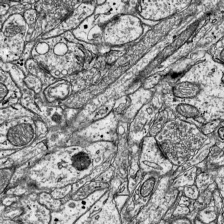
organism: Mouse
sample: Visual Cortex